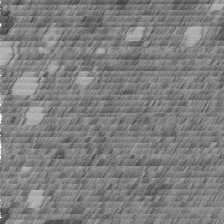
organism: C. elegans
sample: C. elegans embryo early stage